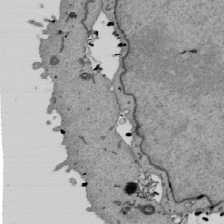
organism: Mouse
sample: ED-1 cell nuclei; centrioles